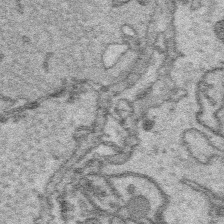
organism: Platynereis dumerilii